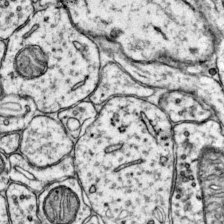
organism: Mouse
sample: Primary visual cortex